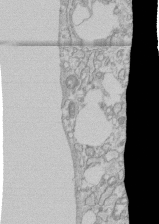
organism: Human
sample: CRL-1474